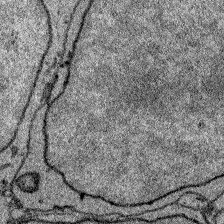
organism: Zebrafish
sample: Larval olfactory bulb